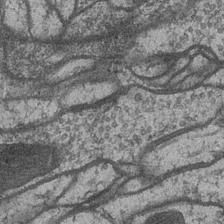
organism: Drosophila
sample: Optic medulla